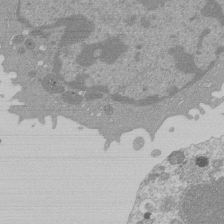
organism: Mouse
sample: Activated Pmel transgenic CD8+ T Cells